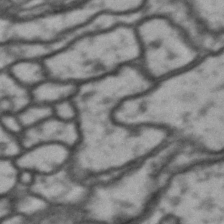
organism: Drosophila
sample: Brain